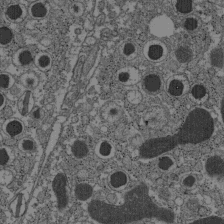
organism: C57BL Mouse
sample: Pancreatic islet